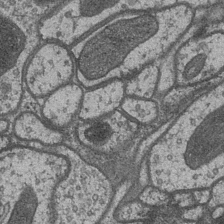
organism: Drosophila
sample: Optic medulla